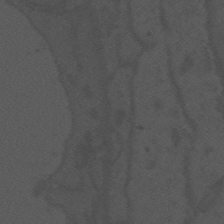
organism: Mouse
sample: Suprachiasmatic nucleus